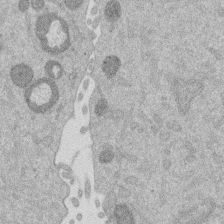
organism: Mouse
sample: Dividing mouse embryo 1 cell stage